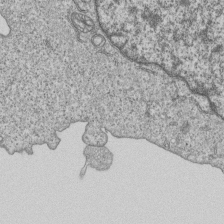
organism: Human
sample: MDA-MB-231 cells